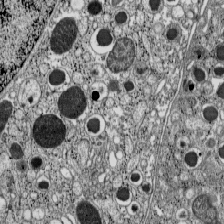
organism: C57BL Mouse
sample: Pancreatic islet